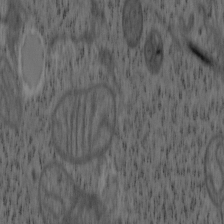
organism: Human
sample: HeLa cells